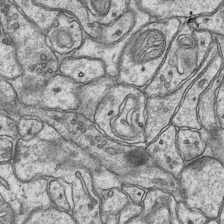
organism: Mouse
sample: CA1 Hippocampus